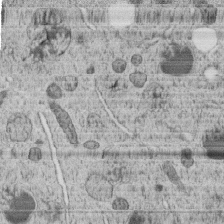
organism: C. elegans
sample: C. elegans embryo early stage